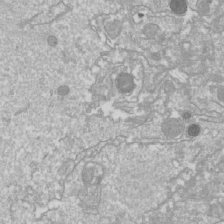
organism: Drosophila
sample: Cell division; meiosis; drosophila spermatocytes